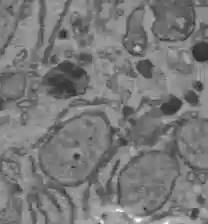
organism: C57BL Mouse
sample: Liver